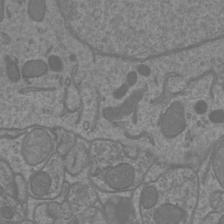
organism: Mouse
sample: Cortical neurons